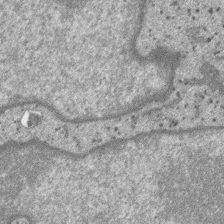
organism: Human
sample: Lung epithelial cells infected with SARS-CoV-2